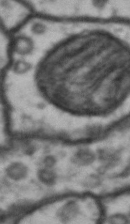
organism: Drosophila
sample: Brain